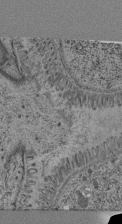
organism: C. elegans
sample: C. elegans pharynx